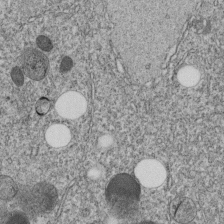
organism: C. elegans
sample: C. elegans embryo early stage